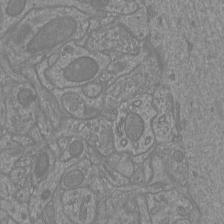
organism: Mouse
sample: Cortical neurons